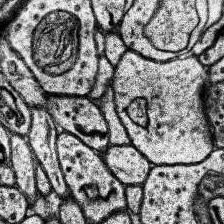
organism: Human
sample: Temporal Lobe